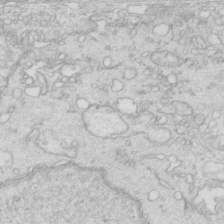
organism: Mouse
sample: Multiciliated cells